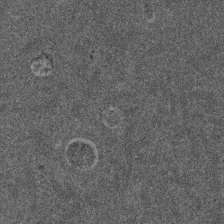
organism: Mouse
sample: Dividing mouse embryo 1 cell stage